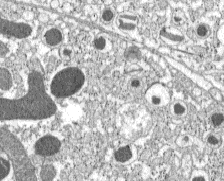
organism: C57BL Mouse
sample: Pancreatic islet